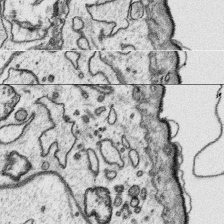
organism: Platynereis dumerilii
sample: Parapodia